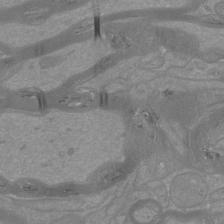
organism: Mouse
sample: Cortical neurons